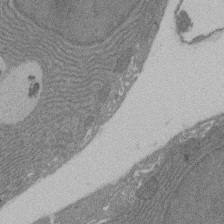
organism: Rat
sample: Salivary granule